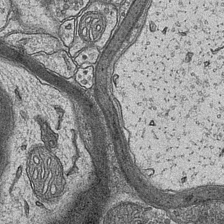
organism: Mouse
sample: CA1 Hippocampus